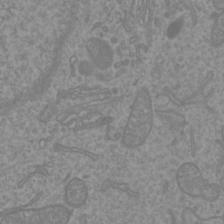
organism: Mouse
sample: Cortical neurons